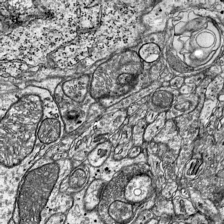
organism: Mouse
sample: Visual Cortex